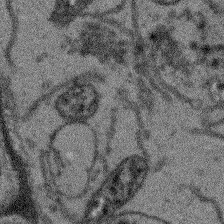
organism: Arabidopsis thaliana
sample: Root tip